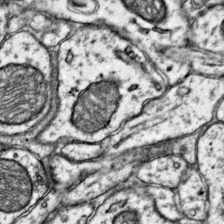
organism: Mouse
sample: Primary visual cortex